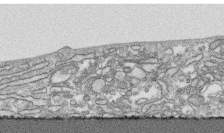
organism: Human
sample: CRL-1474